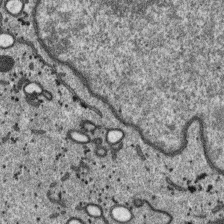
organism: Human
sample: Lung epithelial cells infected with SARS-CoV-2